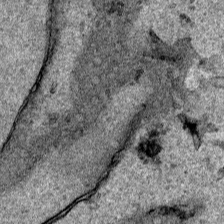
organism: Human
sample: Mitochondria in HCT116 cells